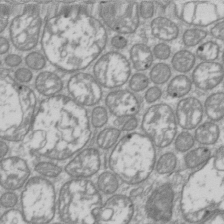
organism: Drosophila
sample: Cell division; meiosis; drosophila spermatocytes